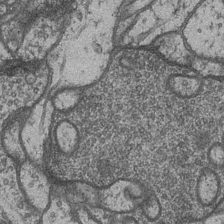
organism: Drosophila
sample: Optic medulla